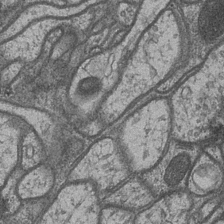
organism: Drosophila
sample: Optic medulla